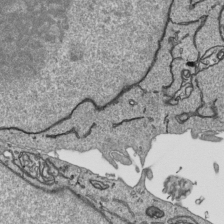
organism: Human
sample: Mitochondria in HCT116 cells